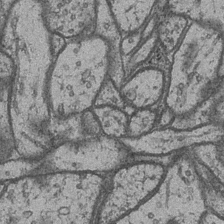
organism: Drosophila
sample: Optic medulla